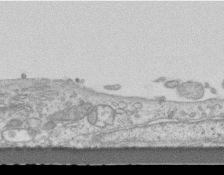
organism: Mouse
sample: Centriole in ependymal cells